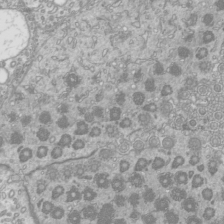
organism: Mouse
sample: Cilia; mouse epididymis